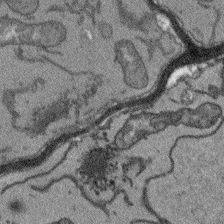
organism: Arabidopsis thaliana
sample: Root tip